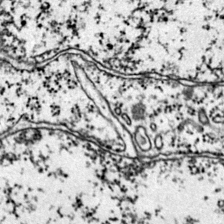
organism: Mouse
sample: Primary visual cortex